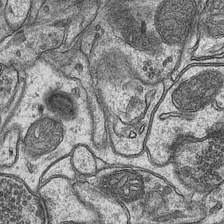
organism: Mouse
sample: CA1 Hippocampus